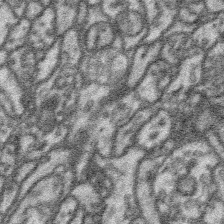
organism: Platynereis dumerilii